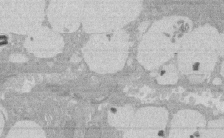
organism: Rat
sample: Salivary granule